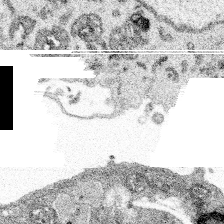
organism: Spongilla lacustris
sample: Multiple